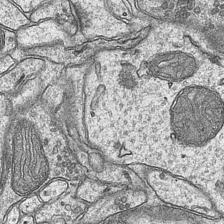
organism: Mouse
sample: CA1 Hippocampus